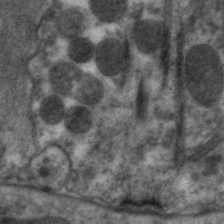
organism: C. elegans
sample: Pharynx